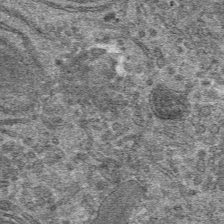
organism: Mouse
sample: Mouse hepatocytes